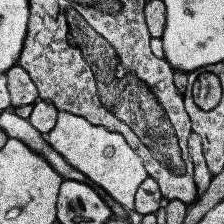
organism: Human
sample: Temporal Lobe